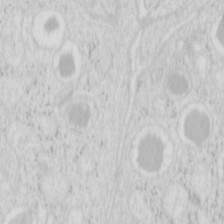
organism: Mouse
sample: Pancreas